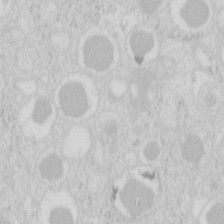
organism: Mouse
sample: Pancreas